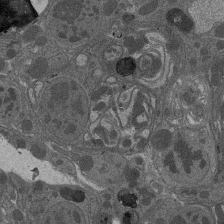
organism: Drosophila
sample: Antenna